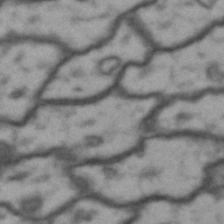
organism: Drosophila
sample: Brain